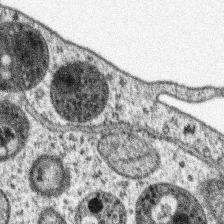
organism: Human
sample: HeLa cells